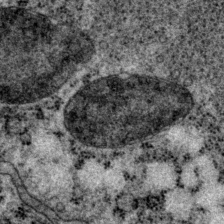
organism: P. pacificus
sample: Pharynx